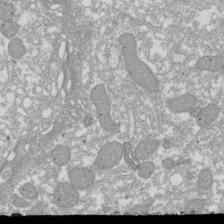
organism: Xenopus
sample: Cilia; centrioles in frog embryo cells